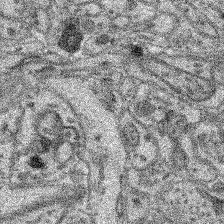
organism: Mouse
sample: Retina